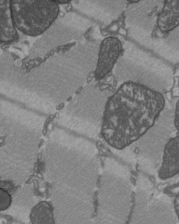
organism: C57BL Mouse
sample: Heart